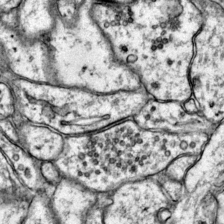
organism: Mouse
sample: Primary visual cortex